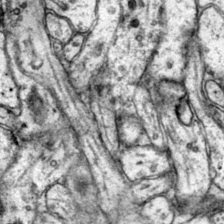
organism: Mouse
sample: Primary visual cortex